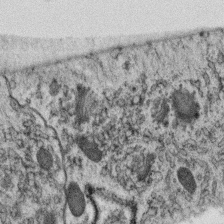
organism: C. elegans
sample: C. elegans oocyte; sperm cells